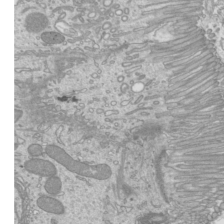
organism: Mouse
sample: Cilia; mouse epididymis